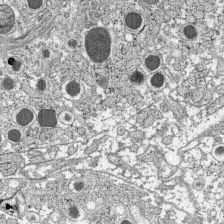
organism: C57BL Mouse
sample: Pancreatic islet